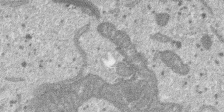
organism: Human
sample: Lung epithelial cells infected with SARS-CoV-2